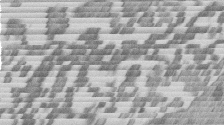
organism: Mouse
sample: Dividing mouse embryo 1 cell stage